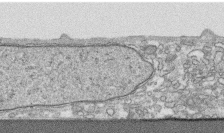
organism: Human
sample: CRL-1474